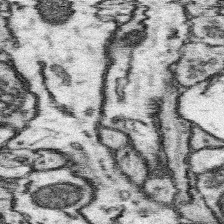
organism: Mouse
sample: Somatosensory cortex neuropil